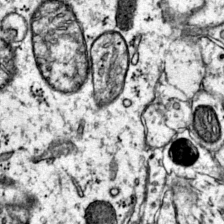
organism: Mouse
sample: Primary visual cortex